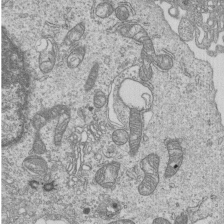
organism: Human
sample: MDA-MB-231 cells